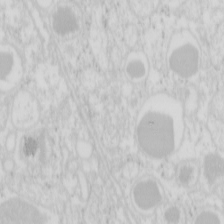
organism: Mouse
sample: Pancreas